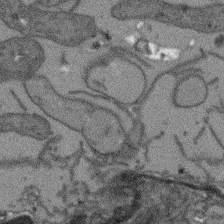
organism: Arabidopsis thaliana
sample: Root tip